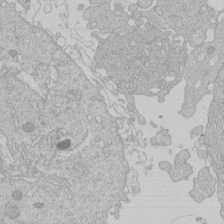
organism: Human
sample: Macrophage cells